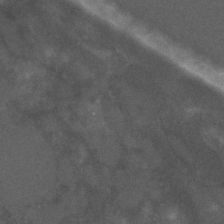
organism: C. elegans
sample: C. elegans embryo